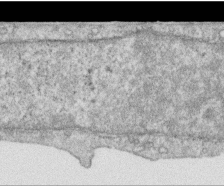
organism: Human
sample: Centriole in RPE cells